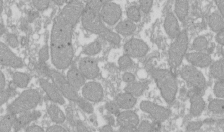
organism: Xenopus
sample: Cilia; centrioles in frog embryo cells